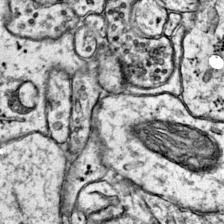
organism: Mouse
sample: Primary visual cortex